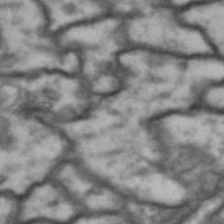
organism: Drosophila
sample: Brain